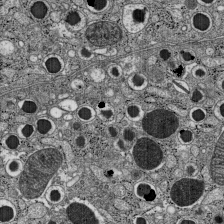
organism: C57BL Mouse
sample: Pancreatic islet